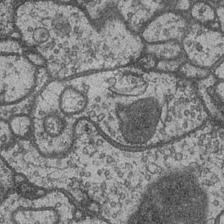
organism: Drosophila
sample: Optic medulla